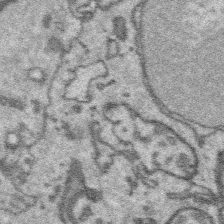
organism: Platynereis dumerilii